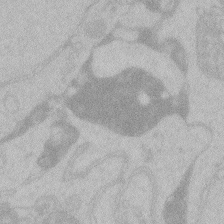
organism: Zebrafish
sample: Macrophage infected with Toxoplasma gondii